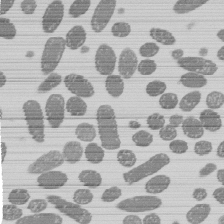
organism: E. coli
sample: Bacterial nucleoid